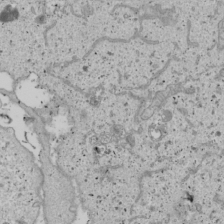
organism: Human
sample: Mitochondria in U2OS cells